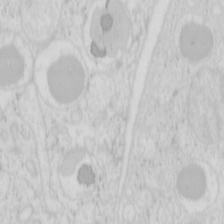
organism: Mouse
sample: Pancreas